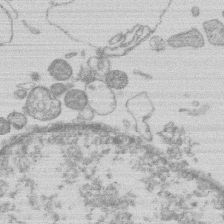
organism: Human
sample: Macrophage cells